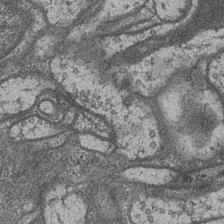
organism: Drosophila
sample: Optic medulla